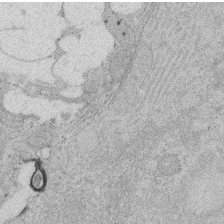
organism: Rat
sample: Salivary granule